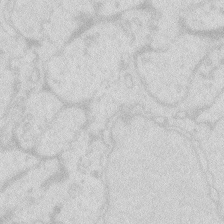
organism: Zebrafish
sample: Macrophage